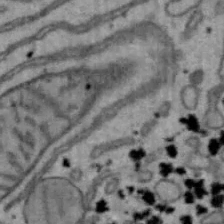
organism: Mouse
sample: Liver